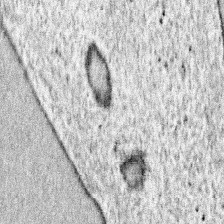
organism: Human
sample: HeLa cells